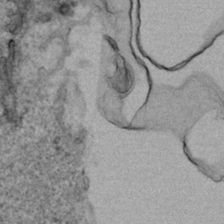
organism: Human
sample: Mitochondria in HCT116 cells